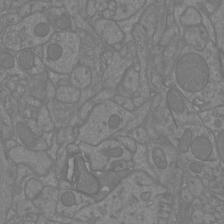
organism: Mouse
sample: Cortical neurons